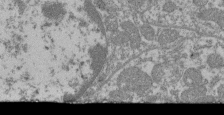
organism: Mouse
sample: Glomerulus